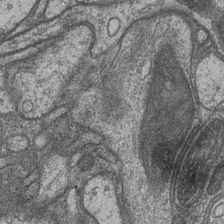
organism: Drosophila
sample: Optic medulla